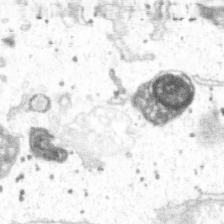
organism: Human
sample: HeLa cells